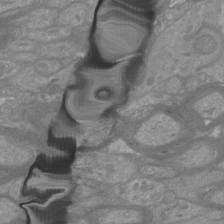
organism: Mouse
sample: Cortical neurons